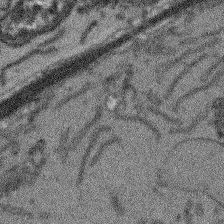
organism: Arabidopsis thaliana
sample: Root tip